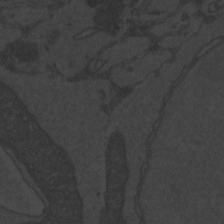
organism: Zebrafish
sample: Macrophage infected with Toxoplasma gondii